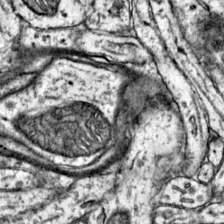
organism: Mouse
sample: Primary visual cortex